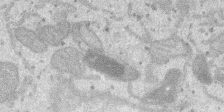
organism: Human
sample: Lung epithelial cells infected with SARS-CoV-2